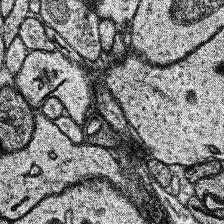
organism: Human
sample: Temporal Lobe